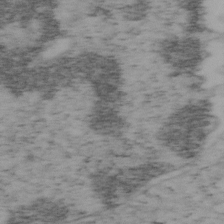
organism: Mouse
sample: OT-I killer T cells with ID8 ovarian cancer cells